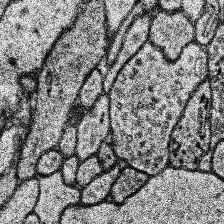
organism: Human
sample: Temporal Lobe